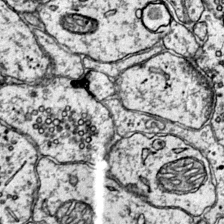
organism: Mouse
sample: Primary visual cortex